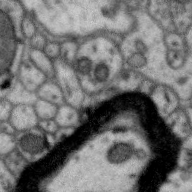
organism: Zebra finch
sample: Brain